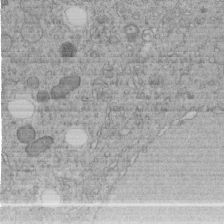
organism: C. elegans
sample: C. elegans embryo early stage